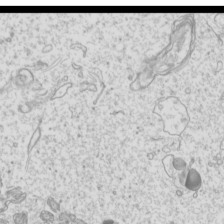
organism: Mouse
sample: Cilia; mouse epididymis